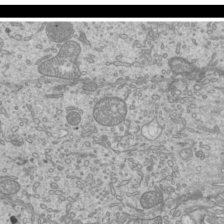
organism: Mouse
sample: Cilia; mouse epididymis